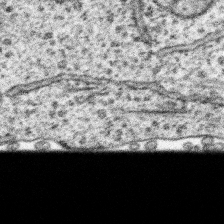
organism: Human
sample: HeLa cells